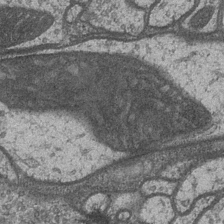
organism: Drosophila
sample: Optic medulla